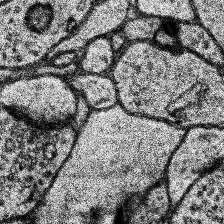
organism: Human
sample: Temporal Lobe